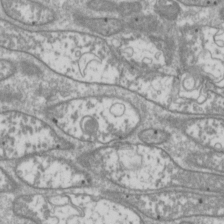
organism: Drosophila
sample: Cell division; meiosis; drosophila spermatocytes